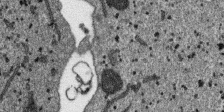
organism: Human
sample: Lung epithelial cells infected with SARS-CoV-2